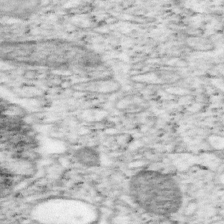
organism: Mouse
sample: OT-I killer T cells with ID8 ovarian cancer cells